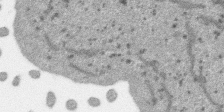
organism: Human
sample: Lung epithelial cells infected with SARS-CoV-2